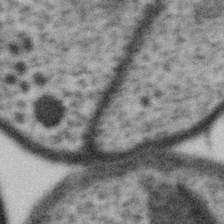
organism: Gemmata obscuriglobus